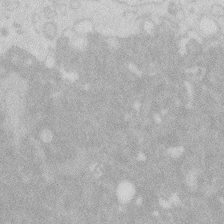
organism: Zebrafish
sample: Macrophage